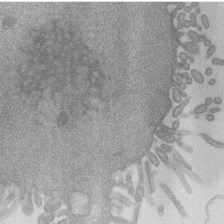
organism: Mouse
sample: Dividing mouse embryo 1 cell stage